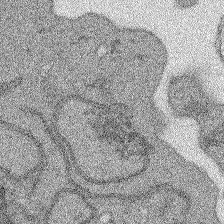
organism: Human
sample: HeLa cells